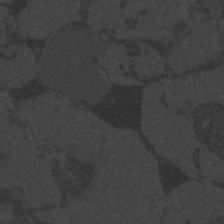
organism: Zebrafish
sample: Macrophage infected with Toxoplasma gondii